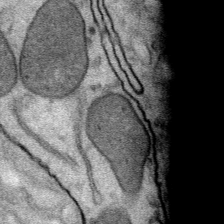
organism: Mouse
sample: Mouse Salivary gland